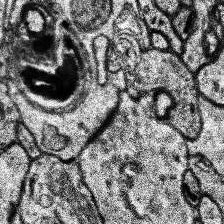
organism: Human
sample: Temporal Lobe